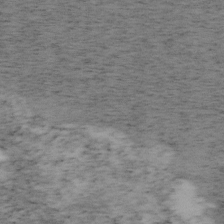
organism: Mouse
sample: OT-I killer T cells with ID8 ovarian cancer cells